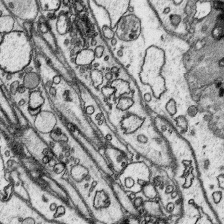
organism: Platynereis dumerilii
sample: Parapodia